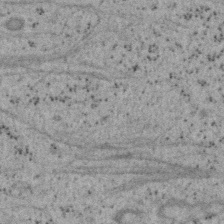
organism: Human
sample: HeLa cells